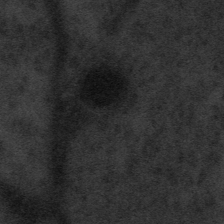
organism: Tuwongella immobilis